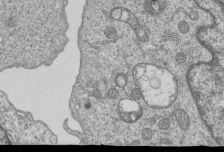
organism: Human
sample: MDA-MB-231 cells